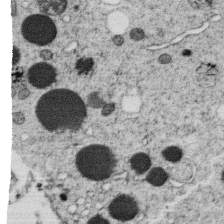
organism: C. elegans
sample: C. elegans oocyte; sperm cells